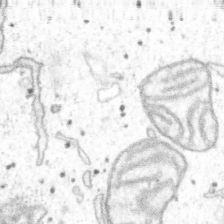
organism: Human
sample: HeLa cells